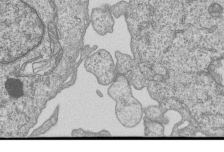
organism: Human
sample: MDA-MB-231 cells